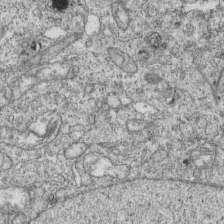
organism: Human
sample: HeLa cell HIV synapse